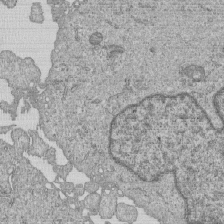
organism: Human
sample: MDA-MB-231 cells